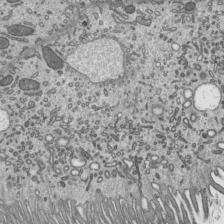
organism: Mouse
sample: Mouse epididymis efferent ductule cilia